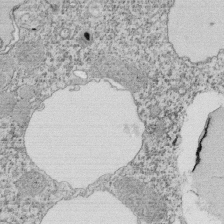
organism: Tetrahymena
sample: Cilia in tetrahymena